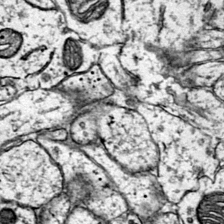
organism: Mouse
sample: Primary visual cortex